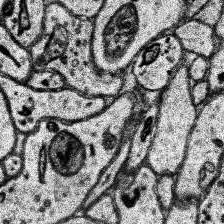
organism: Human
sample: Temporal Lobe